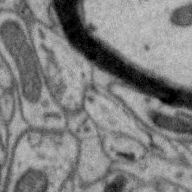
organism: Zebra finch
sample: Brain